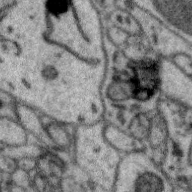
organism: Zebra finch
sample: Brain